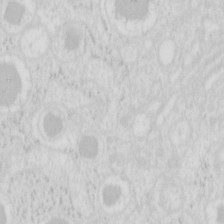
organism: Mouse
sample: Pancreas